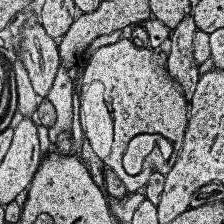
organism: Human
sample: Temporal Lobe